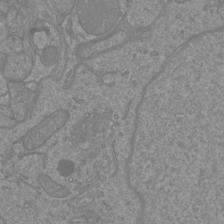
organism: Mouse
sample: Cortical neurons